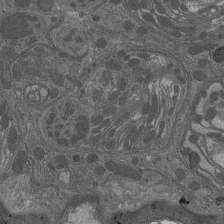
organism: Drosophila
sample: Antenna